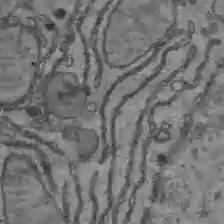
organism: C57BL Mouse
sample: Liver